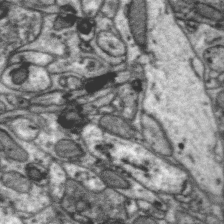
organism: Zebra finch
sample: Brain